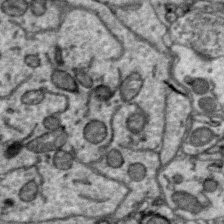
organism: Zebra finch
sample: Brain